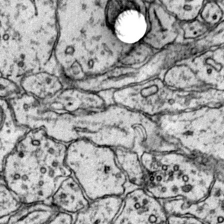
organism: Mouse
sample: Primary visual cortex